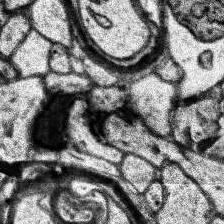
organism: Human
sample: Temporal Lobe